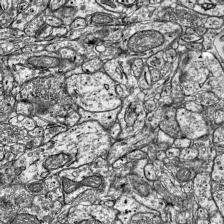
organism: Mouse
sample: Visual Cortex